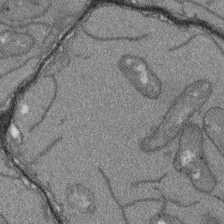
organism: Arabidopsis thaliana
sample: Root tip